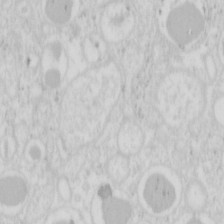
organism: Mouse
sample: Pancreas